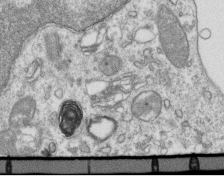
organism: Mouse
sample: Activated OT-1 CD8+ T cells